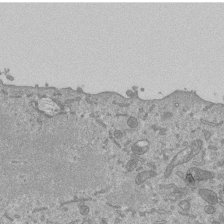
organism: Mouse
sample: ED-1 cell nuclei; centrioles